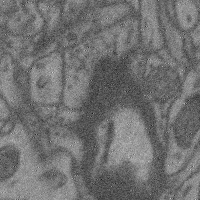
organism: Mouse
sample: Cerebral cortex